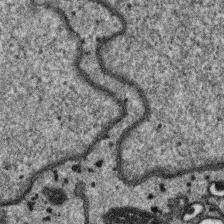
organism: Human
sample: Lung epithelial cells infected with SARS-CoV-2